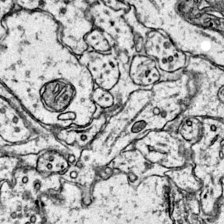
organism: Mouse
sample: Primary visual cortex